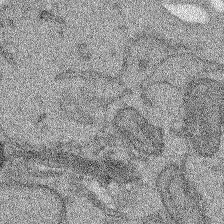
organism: Human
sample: HeLa cells